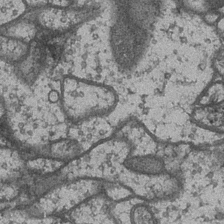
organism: Drosophila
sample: Optic medulla